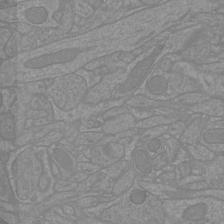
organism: Mouse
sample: Cortical neurons